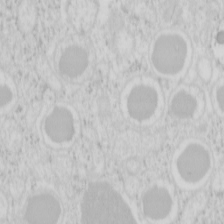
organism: Mouse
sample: Pancreas